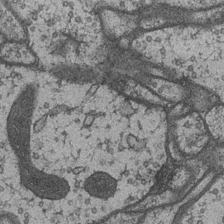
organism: Drosophila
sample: Optic medulla